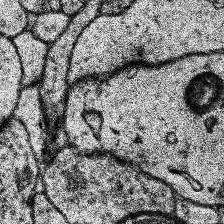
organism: Human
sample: Temporal Lobe